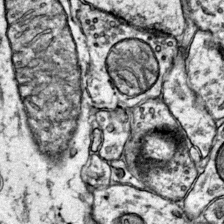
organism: Mouse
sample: Primary visual cortex